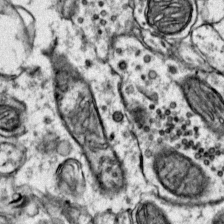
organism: Mouse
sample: Primary visual cortex